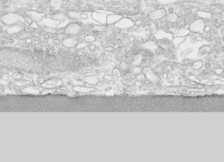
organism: Human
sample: CRL-1474